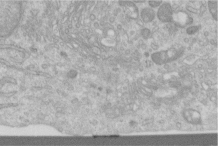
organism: Human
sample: Centriole in RPE cells